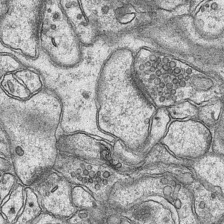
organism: Mouse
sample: CA1 Hippocampus